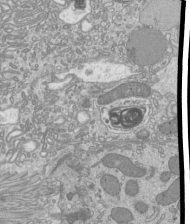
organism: Mouse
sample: Cilia; mouse epididymis